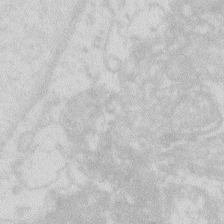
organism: Zebrafish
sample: Macrophage